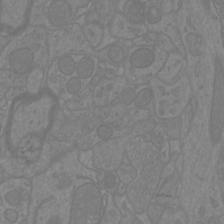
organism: Mouse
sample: Cortical neurons